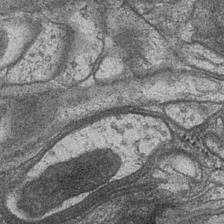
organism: Drosophila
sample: Optic medulla